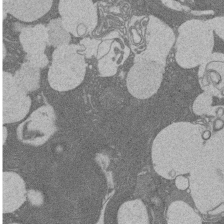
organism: Rat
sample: Salivary granule